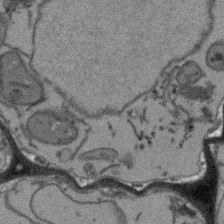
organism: Arabidopsis thaliana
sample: Root tip